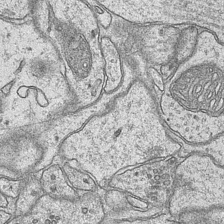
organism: Mouse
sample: CA1 Hippocampus